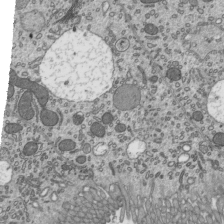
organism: Mouse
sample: Mouse epididymis efferent ductule cilia